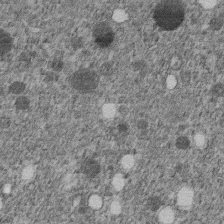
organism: C. elegans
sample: C. elegans embryo early stage